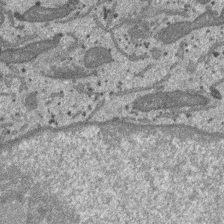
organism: Human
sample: Lung epithelial cells infected with SARS-CoV-2